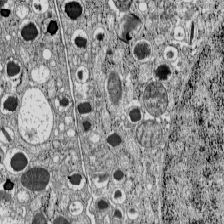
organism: C57BL Mouse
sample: Pancreatic islet